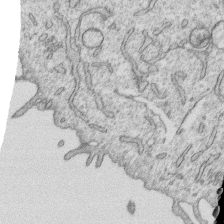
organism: Human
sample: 1205lu cells